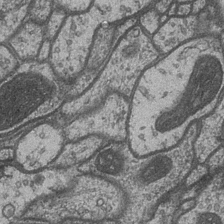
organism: Drosophila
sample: Optic medulla